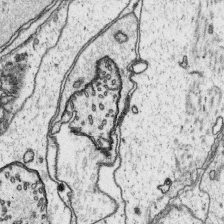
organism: Platynereis dumerilii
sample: Parapodia